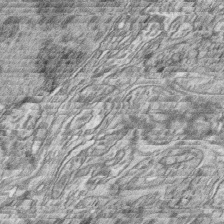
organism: Zebrafish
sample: synaptic ribbons in rod cells and cone cells